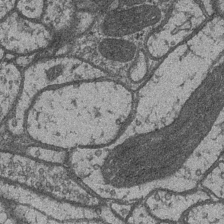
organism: Drosophila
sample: Optic medulla